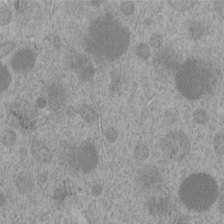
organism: C. elegans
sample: C. elegans embryo early stage